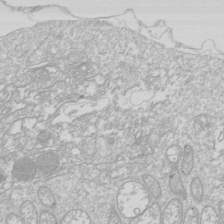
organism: Drosophila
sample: Cell division; meiosis; drosophila spermatocytes